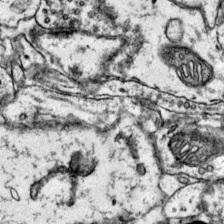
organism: Mouse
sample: Primary visual cortex